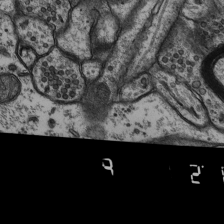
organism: Rat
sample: Hippocampus